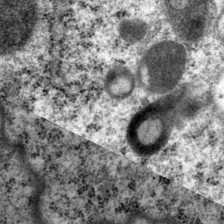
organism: P. pacificus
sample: Pharynx